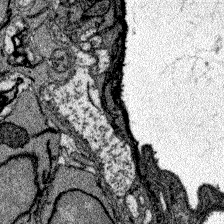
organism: Zebrafish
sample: Larval olfactory bulb